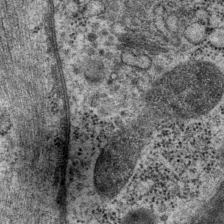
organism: P. pacificus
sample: Pharynx